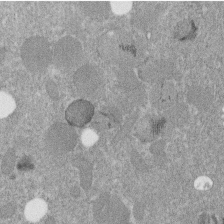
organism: C. elegans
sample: C. elegans embryo early stage